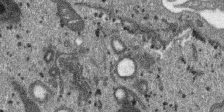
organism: Human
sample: Lung epithelial cells infected with SARS-CoV-2